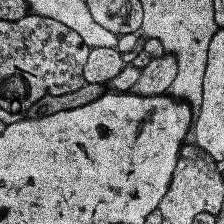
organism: Human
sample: Temporal Lobe